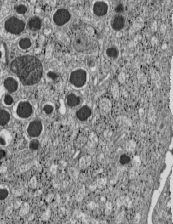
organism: C57BL Mouse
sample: Pancreatic islet